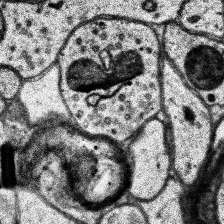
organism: Human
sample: Temporal Lobe